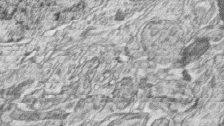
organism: Zebrafish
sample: synaptic ribbons in rod cells and cone cells